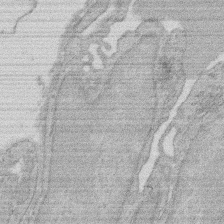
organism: Rat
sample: Salivary granule